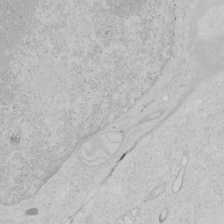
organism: Human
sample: Mitochondria in HCT116 cells